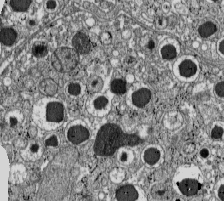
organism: C57BL Mouse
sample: Pancreatic islet